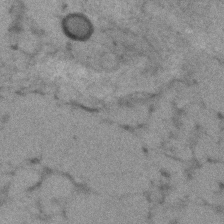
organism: C. elegans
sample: C. elegans embryo